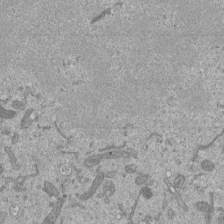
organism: Mouse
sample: ED-1 cell nuclei; centrioles